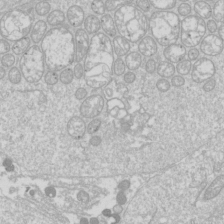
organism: Drosophila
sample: Cell division; meiosis; drosophila spermatocytes